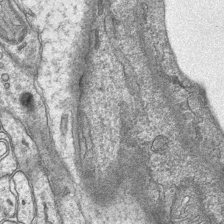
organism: Mouse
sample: CA1 Hippocampus